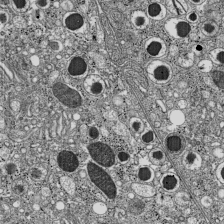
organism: C57BL Mouse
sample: Pancreatic islet